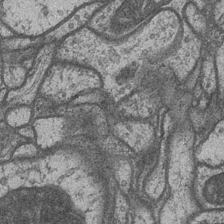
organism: Drosophila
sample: Optic medulla